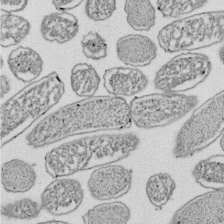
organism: E. coli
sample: Bacterial nucleoid